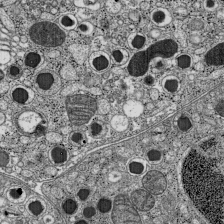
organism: C57BL Mouse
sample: Pancreatic islet